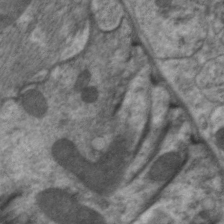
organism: C. elegans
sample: Pharynx